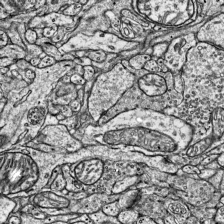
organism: Mouse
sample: Visual Cortex